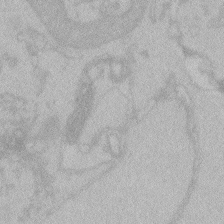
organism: Zebrafish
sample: Macrophage infected with Toxoplasma gondii